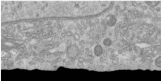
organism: Human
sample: Centriole in RPE cells